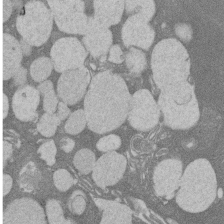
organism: Rat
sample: Salivary granule